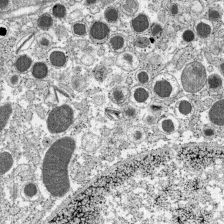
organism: C57BL Mouse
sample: Pancreatic islet